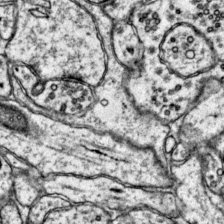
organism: Mouse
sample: Primary visual cortex